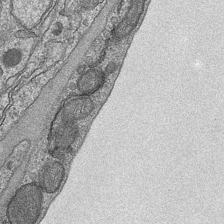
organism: Mouse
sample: CA1 Hippocampus